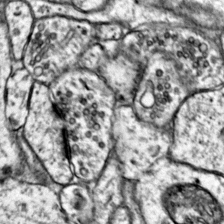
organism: Mouse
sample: Primary visual cortex